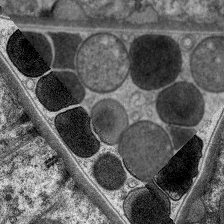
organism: C. elegans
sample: Pharynx